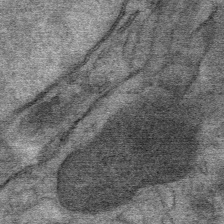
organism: Mouse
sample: Mouse Salivary gland